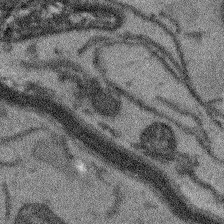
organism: Arabidopsis thaliana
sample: Root tip